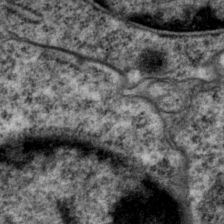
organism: P. pacificus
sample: Pharynx